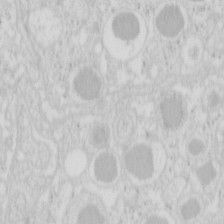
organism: Mouse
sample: Pancreas